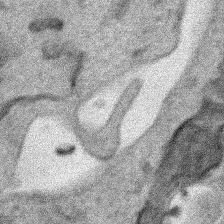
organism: Human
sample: Mitochondria in HCT116 cells